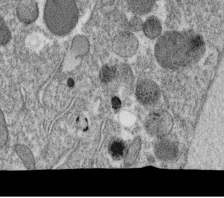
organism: C. elegans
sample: C. elegans oocyte; sperm cells